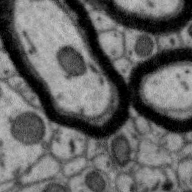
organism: Zebra finch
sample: Brain